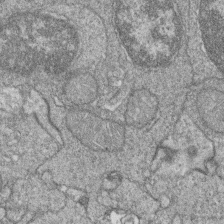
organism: Zebrafish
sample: Cilia; retinal pigment epithelium